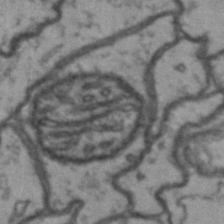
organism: Drosophila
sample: Brain